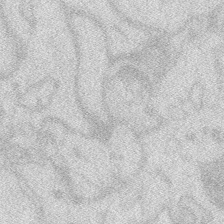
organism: Zebrafish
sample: Macrophage